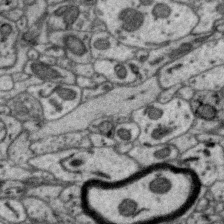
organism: Zebra finch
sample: Brain